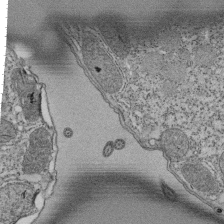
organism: Tetrahymena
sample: Cilia in tetrahymena